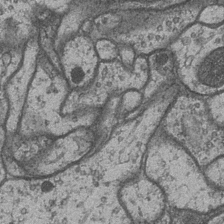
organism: Drosophila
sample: Optic medulla